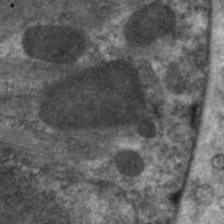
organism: C. elegans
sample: Pharynx